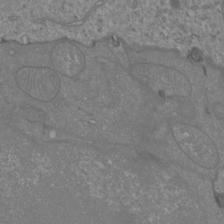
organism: Mouse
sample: Cortical neurons